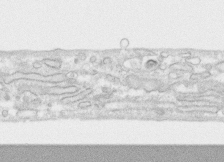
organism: Human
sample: CRL-1474